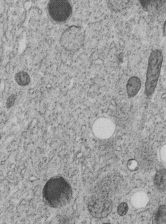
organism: C. elegans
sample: C. elegans embryo early stage